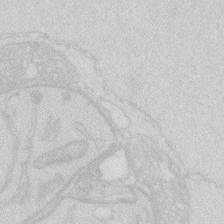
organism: Zebrafish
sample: Macrophage